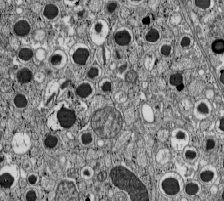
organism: C57BL Mouse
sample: Pancreatic islet